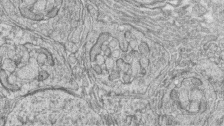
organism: Zebrafish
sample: synaptic ribbons in rod cells and cone cells